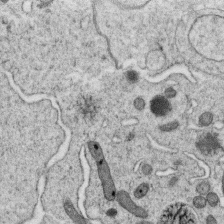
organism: C. elegans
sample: C. elegans oocyte; sperm cells